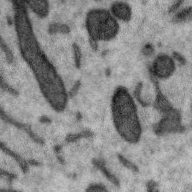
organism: Zebra finch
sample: Brain